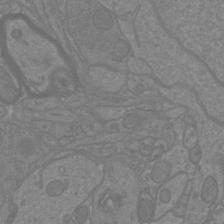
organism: Mouse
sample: Cortical neurons